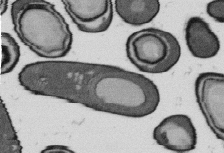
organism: B. subtilis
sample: Bacterial spore